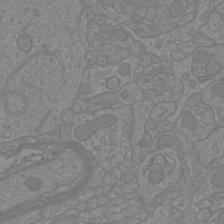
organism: Mouse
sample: Cortical neurons